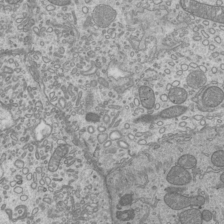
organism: Mouse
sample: Cilia; mouse epididymis